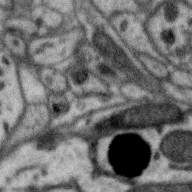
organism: Zebra finch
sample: Brain